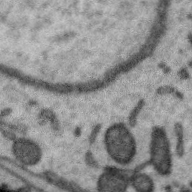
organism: Zebra finch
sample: Brain